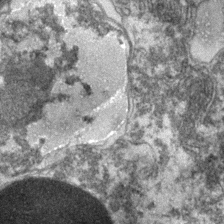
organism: Zebrafish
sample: Zebrafish embryo